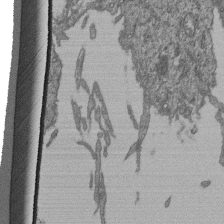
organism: Human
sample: Retinal organoid Rod and Cone cells